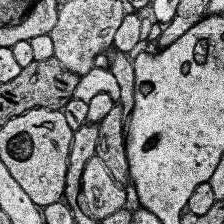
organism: Human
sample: Temporal Lobe